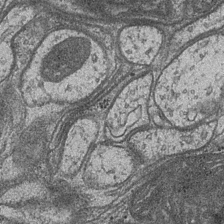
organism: Drosophila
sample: Optic medulla